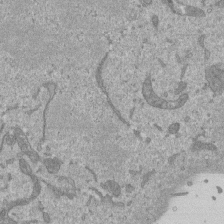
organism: Mouse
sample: ED-1 cell nuclei; centrioles